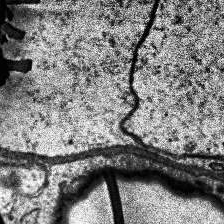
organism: Human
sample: Temporal Lobe